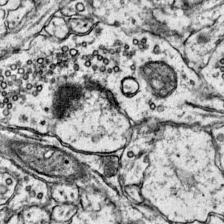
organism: Mouse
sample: Primary visual cortex